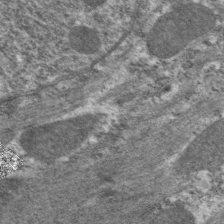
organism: C. elegans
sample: Pharynx